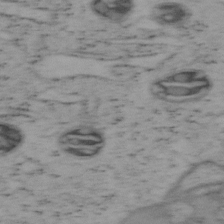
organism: Mouse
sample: OT-I killer T cells with ID8 ovarian cancer cells